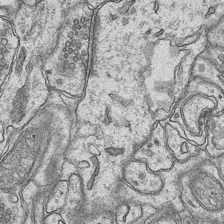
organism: Mouse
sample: CA1 Hippocampus